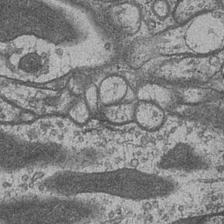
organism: Drosophila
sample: Optic medulla